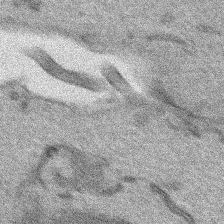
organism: Human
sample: Mitochondria in HCT116 cells